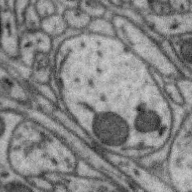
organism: Zebra finch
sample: Brain